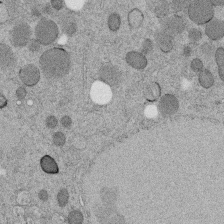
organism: C. elegans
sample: C. elegans embryo early stage